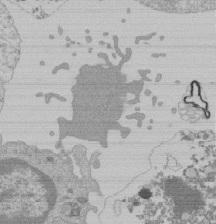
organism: Mouse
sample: Activated Pmel transgenic CD8+ T Cells